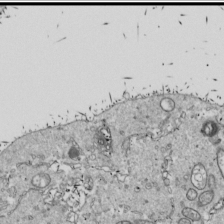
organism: Drosophila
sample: Cell division; meiosis; drosophila spermatocytes